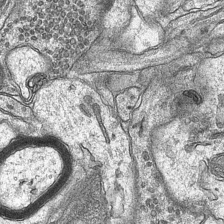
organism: Mouse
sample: CA1 Hippocampus